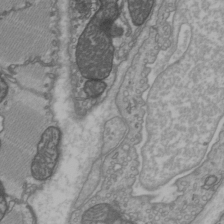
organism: C57BL Mouse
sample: Heart